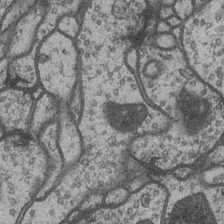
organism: Drosophila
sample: Optic medulla